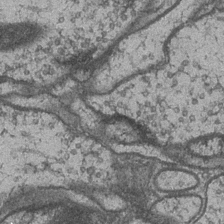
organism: Drosophila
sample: Optic medulla